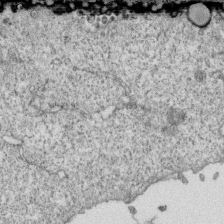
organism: Human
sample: HeLa cell HIV synapse